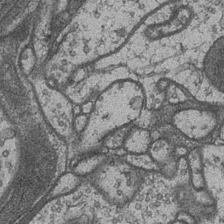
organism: Drosophila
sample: Optic medulla